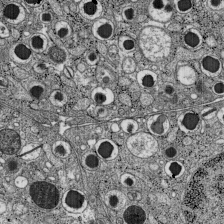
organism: C57BL Mouse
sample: Pancreatic islet